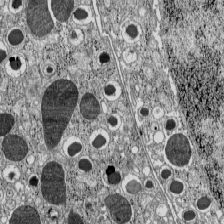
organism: C57BL Mouse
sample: Pancreatic islet